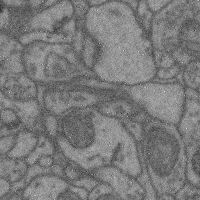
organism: Mouse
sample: Cerebral cortex